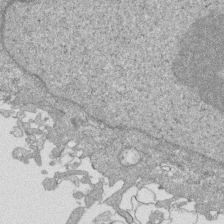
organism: Human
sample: HeLa cell HIV synapse